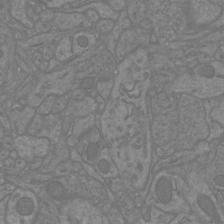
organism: Mouse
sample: Cortical neurons